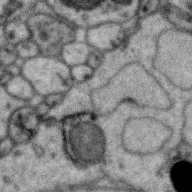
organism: Zebra finch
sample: Brain